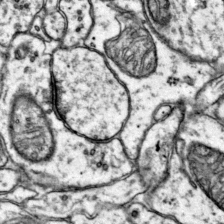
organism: Mouse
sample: Primary visual cortex